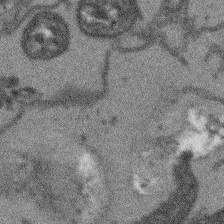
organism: Arabidopsis thaliana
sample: Root tip